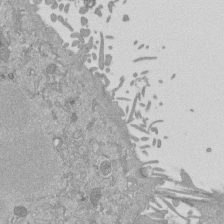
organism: Mouse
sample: ED-1 cell nuclei; centrioles